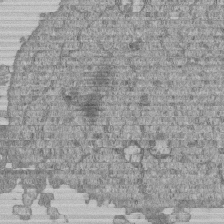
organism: Human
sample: MDA-MB-231 cells